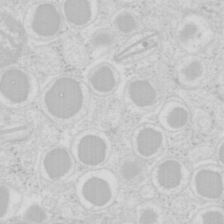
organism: Mouse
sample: Pancreas